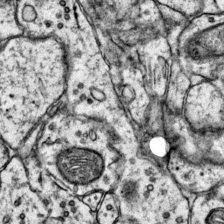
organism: Mouse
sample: Primary visual cortex